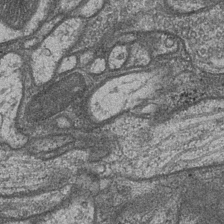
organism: Drosophila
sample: Optic medulla